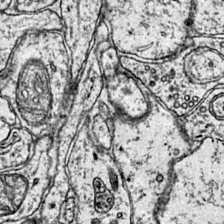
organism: Mouse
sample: Primary visual cortex